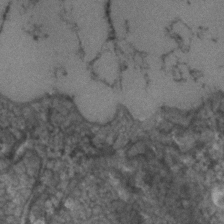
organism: Human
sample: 1205lu cells